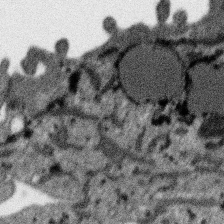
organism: Human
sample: Lung epithelial cells infected with SARS-CoV-2